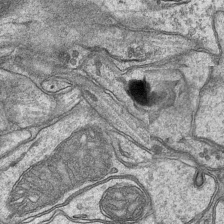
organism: Mouse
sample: CA1 Hippocampus